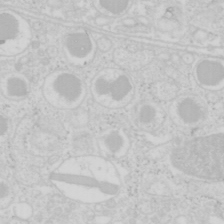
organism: Mouse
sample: Pancreas